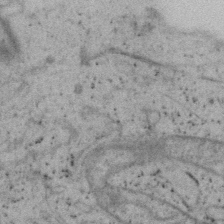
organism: Human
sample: HeLa cells